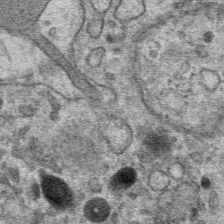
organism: Mouse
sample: Mouse hepatocytes